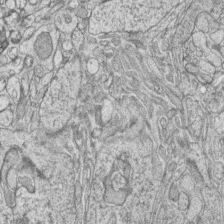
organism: Zebrafish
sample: synaptic ribbons in rod cells and cone cells